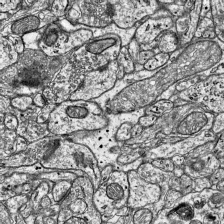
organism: Mouse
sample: Visual Cortex